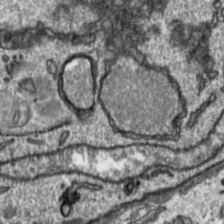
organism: Toxoplasma gondii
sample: Parasites in a vacuole inside a host cell